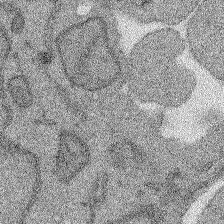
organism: Human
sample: HeLa cells